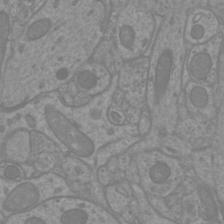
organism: Mouse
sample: Cortical neurons